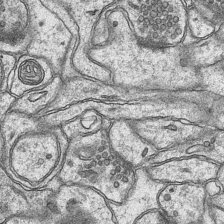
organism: Mouse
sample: CA1 Hippocampus